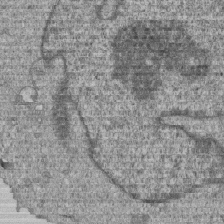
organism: Human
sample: MDA-MB-231 cells